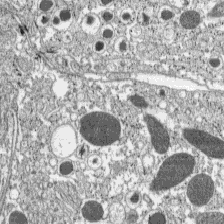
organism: C57BL Mouse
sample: Pancreatic islet